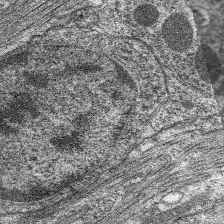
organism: C. elegans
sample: Pharynx